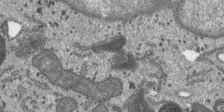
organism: Human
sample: Lung epithelial cells infected with SARS-CoV-2